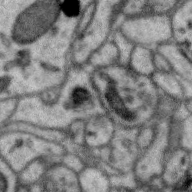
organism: Zebra finch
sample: Brain